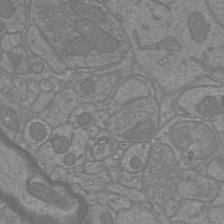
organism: Mouse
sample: Cortical neurons